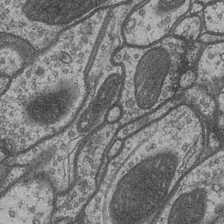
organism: Drosophila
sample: Optic medulla